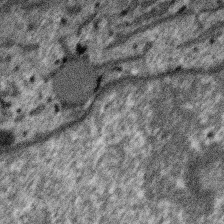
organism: Human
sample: Lung epithelial cells infected with SARS-CoV-2